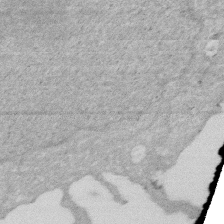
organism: Human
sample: HIV infected U937 cells